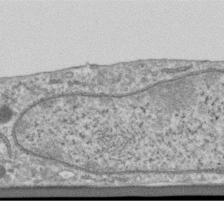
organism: Human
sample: Centriole in RPE cells